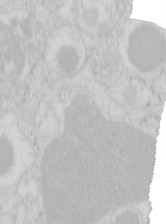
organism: Mouse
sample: Pancreas